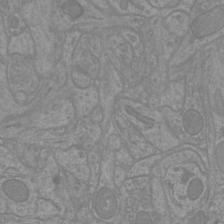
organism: Mouse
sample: Cortical neurons